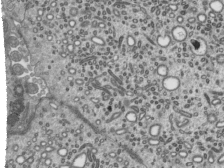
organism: Mouse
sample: Mouse epididymis efferent ductule cilia